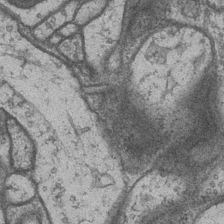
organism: Drosophila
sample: Optic medulla